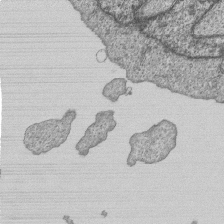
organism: Human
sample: MDA-MB-231 cells